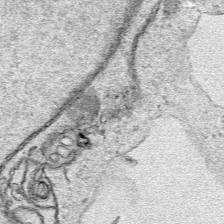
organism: Human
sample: Mitochondria in HCT116 cells